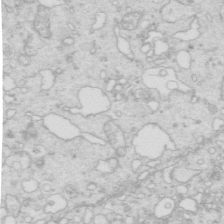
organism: Mouse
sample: Multiciliated cells